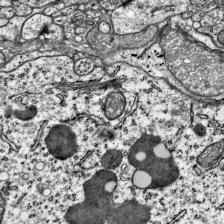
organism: Mouse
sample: Visual Cortex